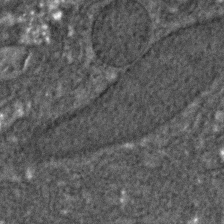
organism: C. elegans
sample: C. elegans embryo